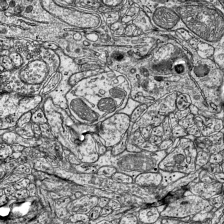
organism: Mouse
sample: Visual Cortex